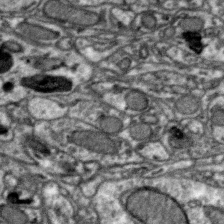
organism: Zebra finch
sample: Brain